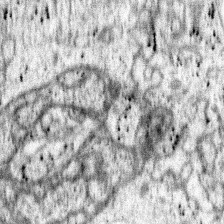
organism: Human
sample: HeLa cells